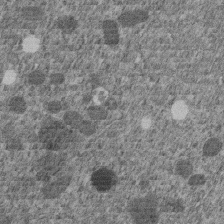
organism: C. elegans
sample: C. elegans embryo early stage